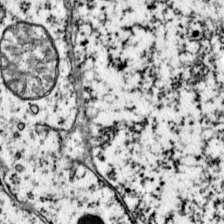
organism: Mouse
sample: Primary visual cortex